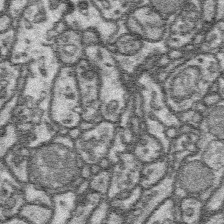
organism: Platynereis dumerilii